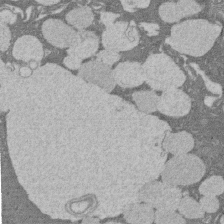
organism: Rat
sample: Salivary granule